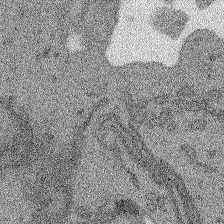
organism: Human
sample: HeLa cells